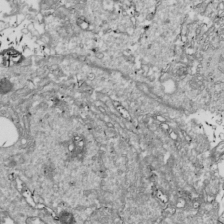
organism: Drosophila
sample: Cell division; meiosis; drosophila spermatocytes